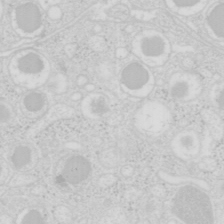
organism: Mouse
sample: Pancreas